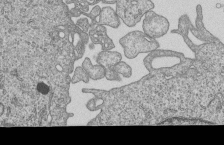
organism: Human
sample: MDA-MB-231 cells